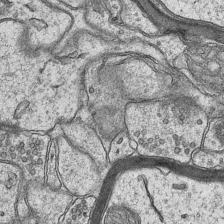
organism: Mouse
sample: CA1 Hippocampus